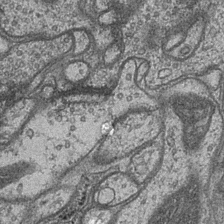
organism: Drosophila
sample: Optic medulla